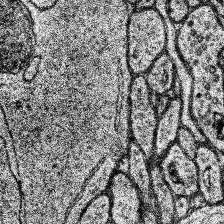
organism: Human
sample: Temporal Lobe